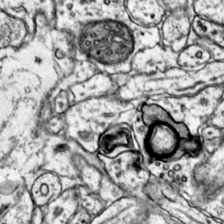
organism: Mouse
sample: Primary visual cortex